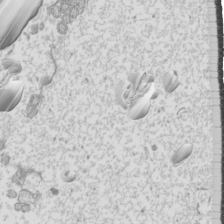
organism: Mouse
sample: Cilia; mouse epididymis